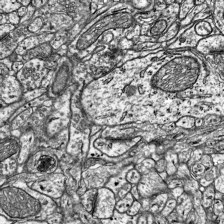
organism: Mouse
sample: Visual Cortex